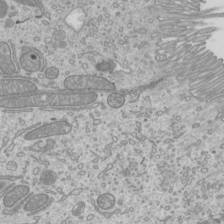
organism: Mouse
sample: Cilia; mouse epididymis